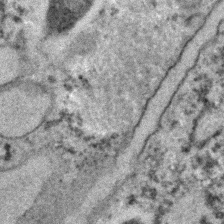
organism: C. elegans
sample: C. elegans embryo